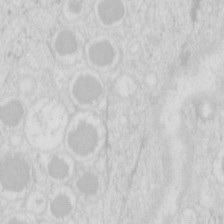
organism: Mouse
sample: Pancreas